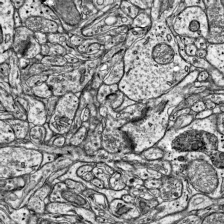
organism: Mouse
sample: Visual Cortex